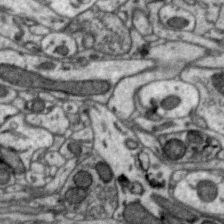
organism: Zebra finch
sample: Brain